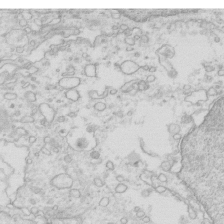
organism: Mouse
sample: Multiciliated cells